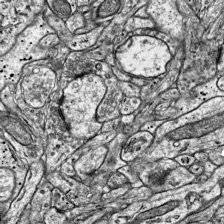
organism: Mouse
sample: Visual Cortex